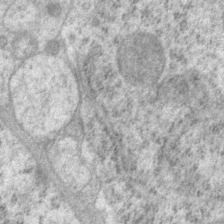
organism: P. pacificus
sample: Pharynx